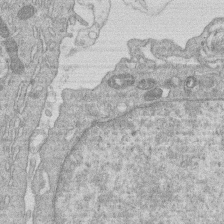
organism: Human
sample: Macrophage cells